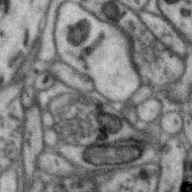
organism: Zebra finch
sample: Brain